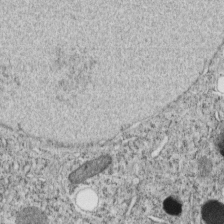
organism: C. elegans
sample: C. elegans embryo early stage